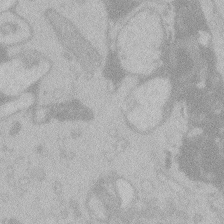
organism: Zebrafish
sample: Macrophage infected with Toxoplasma gondii